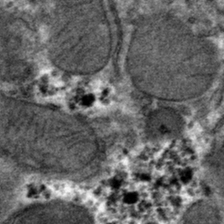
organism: Mouse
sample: Mouse hepatocytes